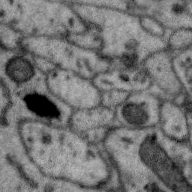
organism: Zebra finch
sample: Brain